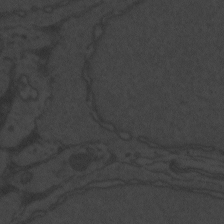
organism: Zebrafish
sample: Macrophage infected with Toxoplasma gondii